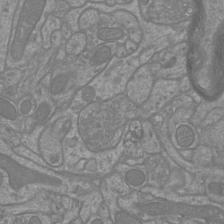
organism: Mouse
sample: Cortical neurons